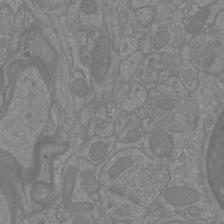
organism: Mouse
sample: Cortical neurons